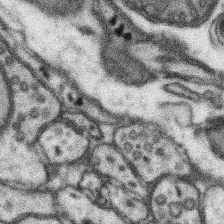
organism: Mouse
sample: Somatosensory cortex neuropil